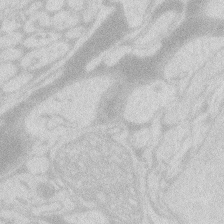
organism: Zebrafish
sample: Macrophage